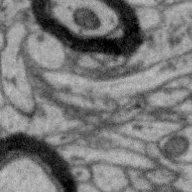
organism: Zebra finch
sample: Brain